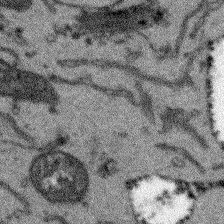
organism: Arabidopsis thaliana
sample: Root tip